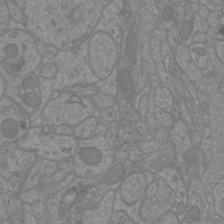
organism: Mouse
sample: Cortical neurons